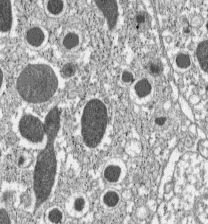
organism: C57BL Mouse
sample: Pancreatic islet